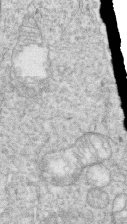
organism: Human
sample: HeLa cell HIV synapse